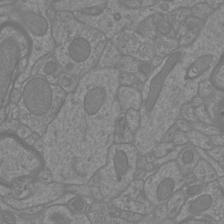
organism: Mouse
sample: Cortical neurons